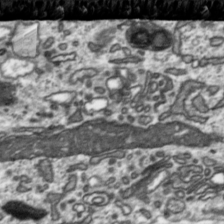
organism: Toxoplasma gondii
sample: Parasites in a vacuole inside a host cell